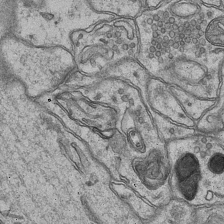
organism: Mouse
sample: CA1 Hippocampus